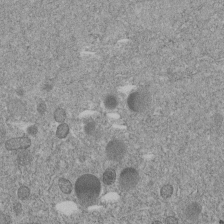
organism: C. elegans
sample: C. elegans embryo early stage